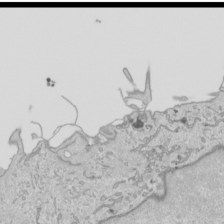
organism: Human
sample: Mitochondria in HCT116 cells